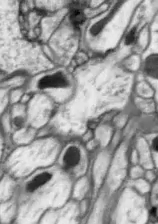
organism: Drosophila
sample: Optic lobe